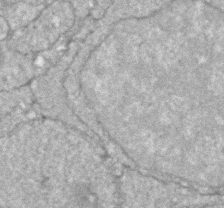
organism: Zebrafish